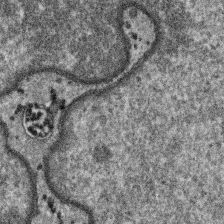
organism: Human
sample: Lung epithelial cells infected with SARS-CoV-2